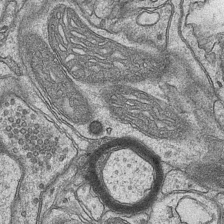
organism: Mouse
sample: CA1 Hippocampus